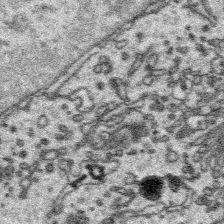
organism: Platynereis dumerilii